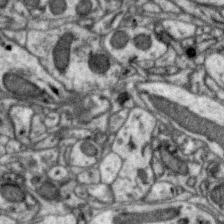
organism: Zebra finch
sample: Brain